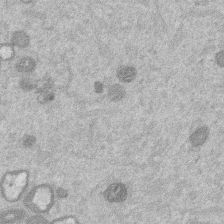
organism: Mouse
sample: Dividing mouse embryo 1 cell stage